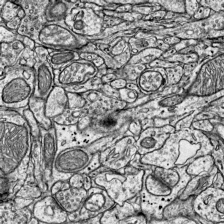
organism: Mouse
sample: Visual Cortex